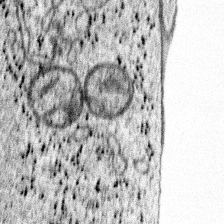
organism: Human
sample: HeLa cells